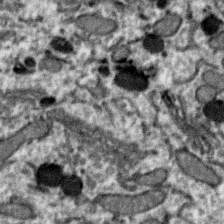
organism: Zebra finch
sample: Brain